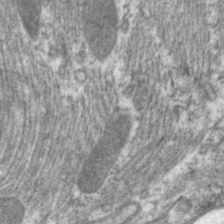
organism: C. elegans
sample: Pharynx